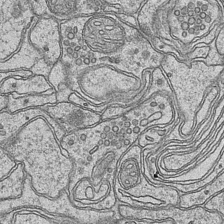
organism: Mouse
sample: CA1 Hippocampus